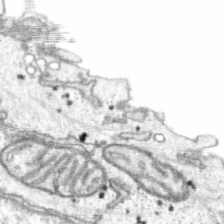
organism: Human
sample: HeLa cells